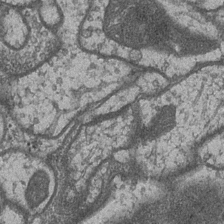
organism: Drosophila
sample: Optic medulla